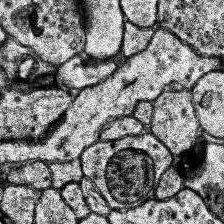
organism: Human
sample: Temporal Lobe